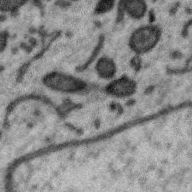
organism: Zebra finch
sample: Brain